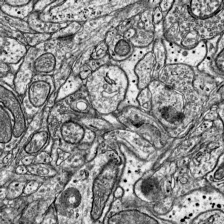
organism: Mouse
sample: Visual Cortex